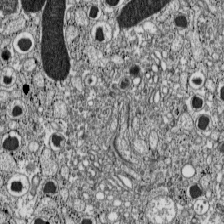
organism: C57BL Mouse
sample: Pancreatic islet